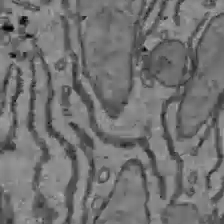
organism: C57BL Mouse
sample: Liver